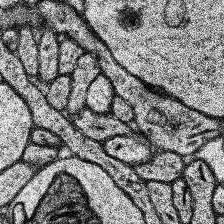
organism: Human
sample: Temporal Lobe